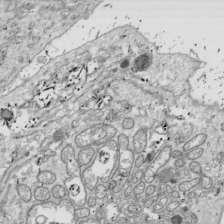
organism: Drosophila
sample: Cell division; meiosis; drosophila spermatocytes